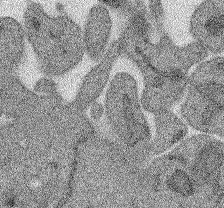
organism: Human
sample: HeLa cells